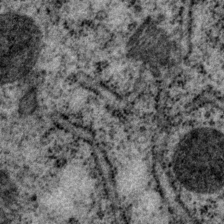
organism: P. pacificus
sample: Pharynx